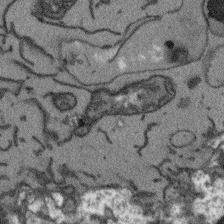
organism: Arabidopsis thaliana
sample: Root tip